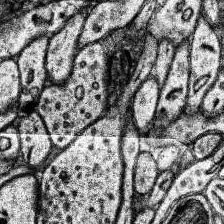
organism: Human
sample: Temporal Lobe